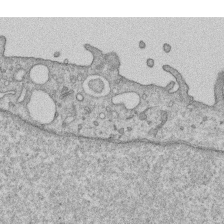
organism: Human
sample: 1205lu cells